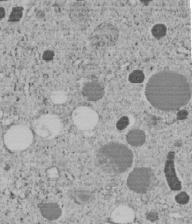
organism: C. elegans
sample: C. elegans embryo early stage